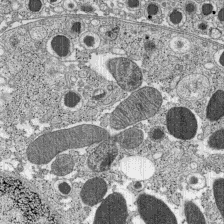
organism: C57BL Mouse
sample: Pancreatic islet